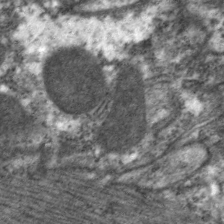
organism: C. elegans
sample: Pharynx